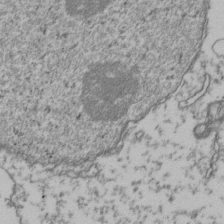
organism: Human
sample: Activated Jurkat CD4+ T cells